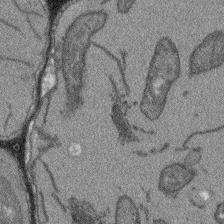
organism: Arabidopsis thaliana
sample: Root tip